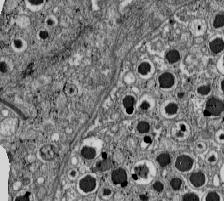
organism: C57BL Mouse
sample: Pancreatic islet